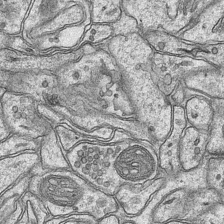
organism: Mouse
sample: CA1 Hippocampus